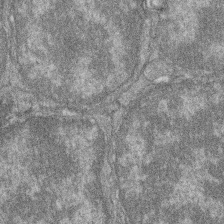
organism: Zebrafish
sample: Cilia; retinal pigment epithelium